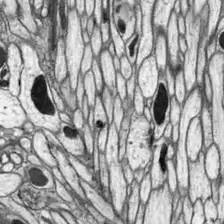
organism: Drosophila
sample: Optic lobe